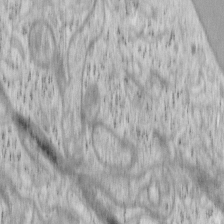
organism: Human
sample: HeLa cells